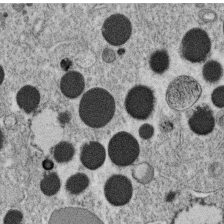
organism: C. elegans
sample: C. elegans oocyte; sperm cells